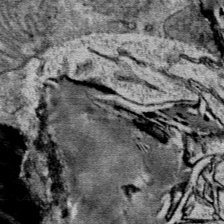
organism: Mouse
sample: Mouse Salivary gland